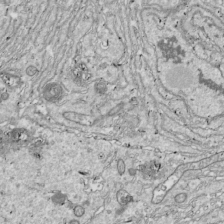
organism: Drosophila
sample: Cell division; meiosis; drosophila spermatocytes